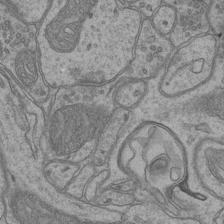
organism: Mouse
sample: CA1 Hippocampus